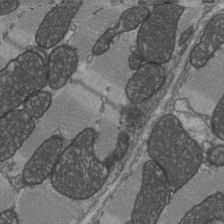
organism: C57BL Mouse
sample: Heart